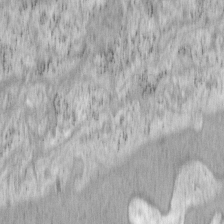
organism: Human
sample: HeLa cells